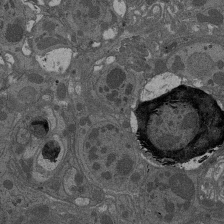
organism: Drosophila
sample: Antenna